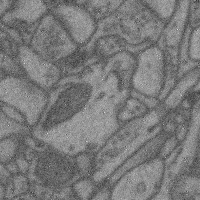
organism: Mouse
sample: Cerebral cortex